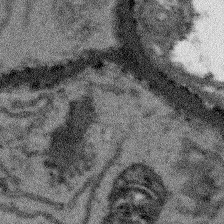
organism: Arabidopsis thaliana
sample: Root tip